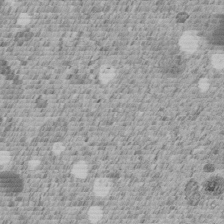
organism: C. elegans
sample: C. elegans embryo early stage